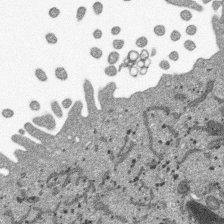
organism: Human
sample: Lung epithelial cells infected with SARS-CoV-2